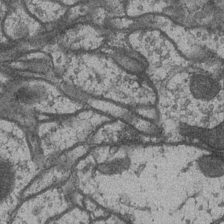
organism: Drosophila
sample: Optic medulla